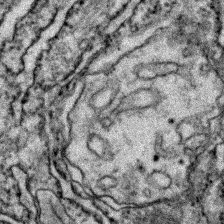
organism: Zebrafish